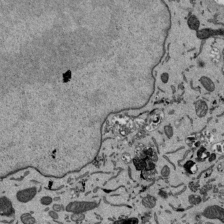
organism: Mouse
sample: ED-1 cell nuclei; centrioles